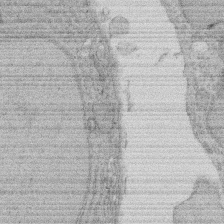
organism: Rat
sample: Salivary granule